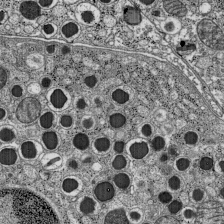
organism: C57BL Mouse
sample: Pancreatic islet